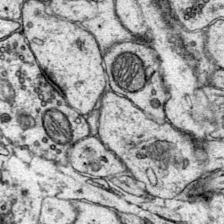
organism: Mouse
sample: Primary visual cortex